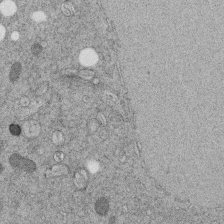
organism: C. elegans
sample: C. elegans embryo early stage